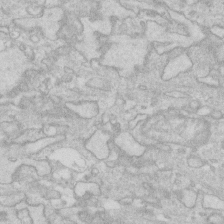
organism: Human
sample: Fibroblast cells